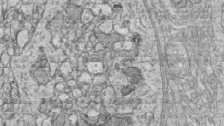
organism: Zebrafish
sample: synaptic ribbons in rod cells and cone cells